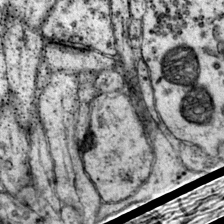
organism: Mouse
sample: Primary visual cortex